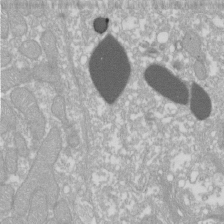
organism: Xenopus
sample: Cilia; centrioles in frog embryo cells